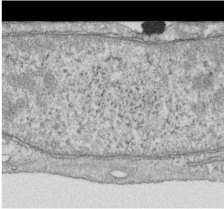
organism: Human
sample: Centriole in RPE cells